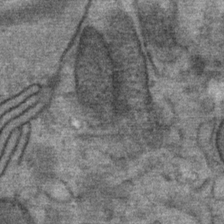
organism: Mouse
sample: Mouse Salivary gland